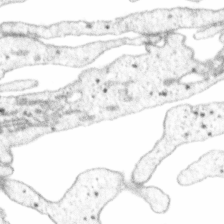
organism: Human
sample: HeLa cells